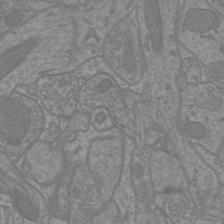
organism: Mouse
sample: Cortical neurons